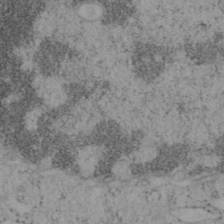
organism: Mouse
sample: OT-I killer T cells with ID8 ovarian cancer cells